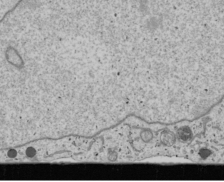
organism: Human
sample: Mitochondria in U2OS cells